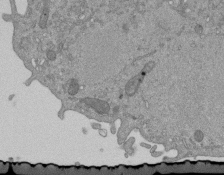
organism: Mouse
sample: ED-1 cell nuclei; centrioles